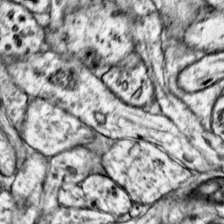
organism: Mouse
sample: Primary visual cortex